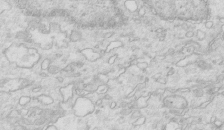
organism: Mouse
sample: Multiciliated cells